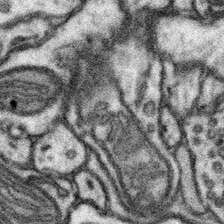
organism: Mouse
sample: Somatosensory cortex neuropil